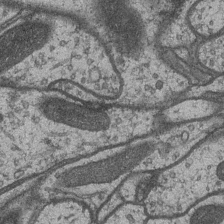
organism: Drosophila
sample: Optic medulla